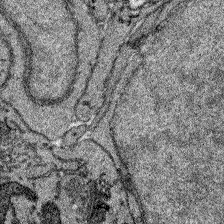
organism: Zebrafish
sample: Larval olfactory bulb